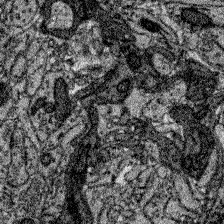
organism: Zebrafish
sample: Larval olfactory bulb